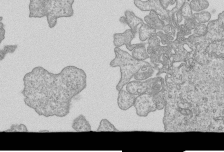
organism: Human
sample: MDA-MB-231 cells